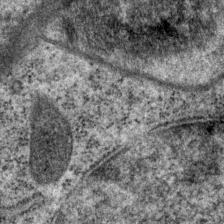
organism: P. pacificus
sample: Pharynx